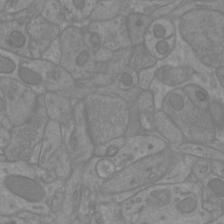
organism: Mouse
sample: Cortical neurons